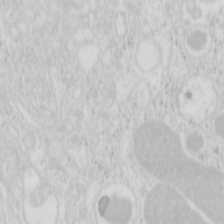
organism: Mouse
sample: Pancreas